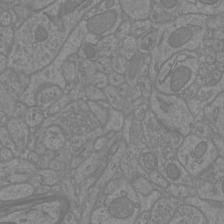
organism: Mouse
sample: Cortical neurons